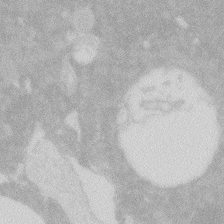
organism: Zebrafish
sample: Macrophage